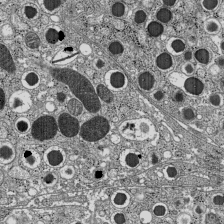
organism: C57BL Mouse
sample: Pancreatic islet